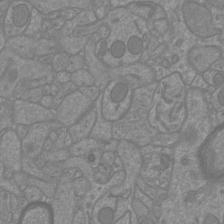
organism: Mouse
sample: Cortical neurons